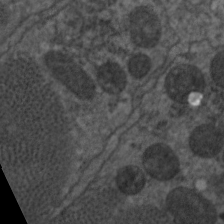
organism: C. elegans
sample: Pharynx